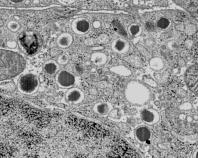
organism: C57BL Mouse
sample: Pancreatic islet